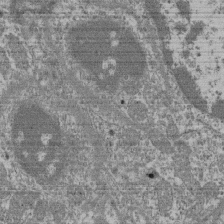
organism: Mouse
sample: Glomerulus